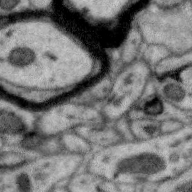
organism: Zebra finch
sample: Brain